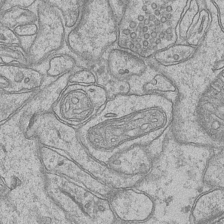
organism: Mouse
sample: CA1 Hippocampus